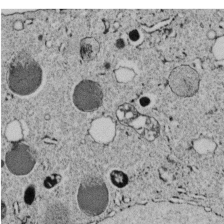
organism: C. elegans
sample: C. elegans embryo early stage